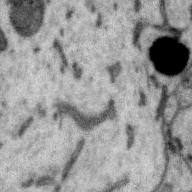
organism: Zebra finch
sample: Brain